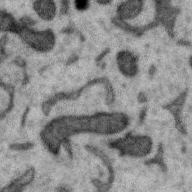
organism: Zebra finch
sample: Brain